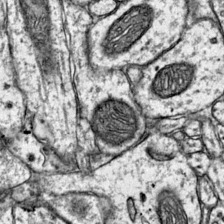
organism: Mouse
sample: Primary visual cortex